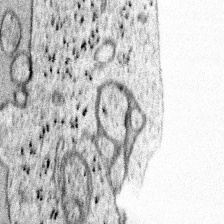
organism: Human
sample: HeLa cells